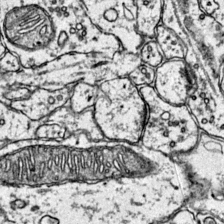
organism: Mouse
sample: Primary visual cortex